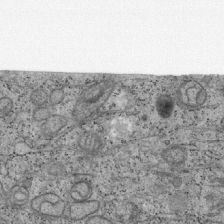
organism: Human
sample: HeLa cells